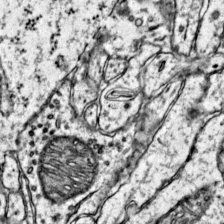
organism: Mouse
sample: Primary visual cortex